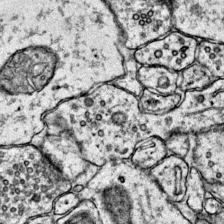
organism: Mouse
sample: Primary visual cortex